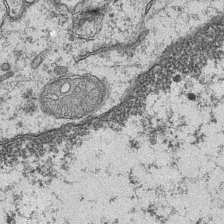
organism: Mouse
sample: CA1 Hippocampus